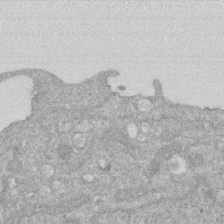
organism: Human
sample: HIV infected U937 cells